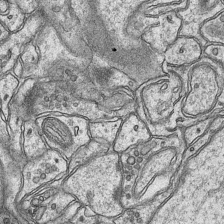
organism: Mouse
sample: CA1 Hippocampus